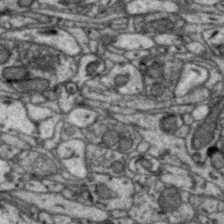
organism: Zebra finch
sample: Brain